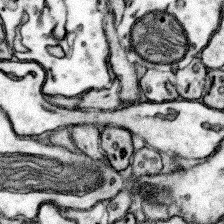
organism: Mouse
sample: Somatosensory cortex neuropil